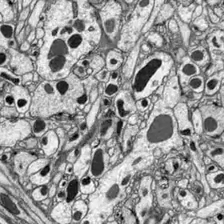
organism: Drosophila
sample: Optic lobe